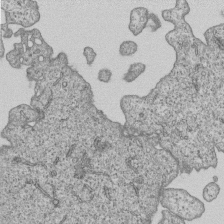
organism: Human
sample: MDA-MB-231 cells